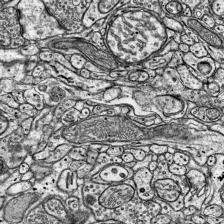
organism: Mouse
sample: Visual Cortex